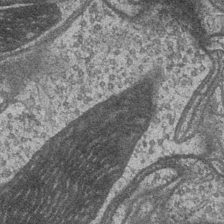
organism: Drosophila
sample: Optic medulla